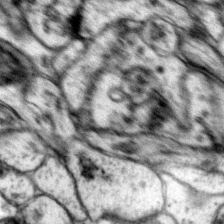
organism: Mouse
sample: Primary visual cortex